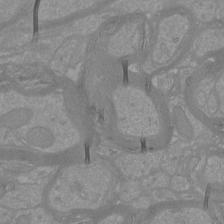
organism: Mouse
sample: Cortical neurons